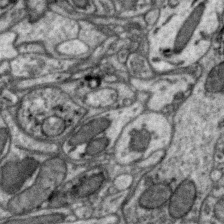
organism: Zebra finch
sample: Brain